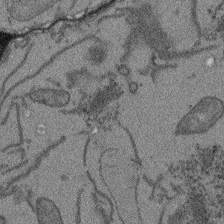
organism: Arabidopsis thaliana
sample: Root tip